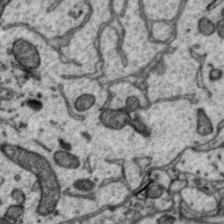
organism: Zebra finch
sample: Brain